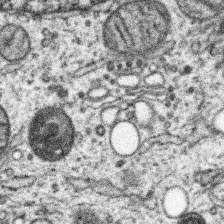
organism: Human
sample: HeLa cells